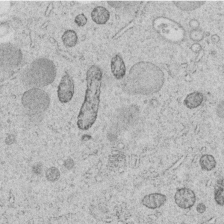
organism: C. elegans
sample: C. elegans embryo early stage